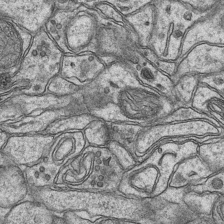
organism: Mouse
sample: CA1 Hippocampus